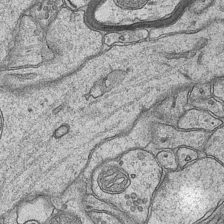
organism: Mouse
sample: CA1 Hippocampus